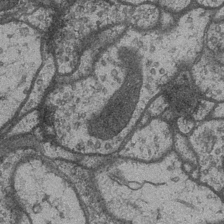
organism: Drosophila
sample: Optic medulla